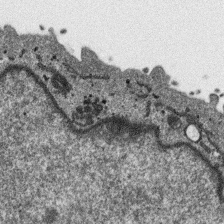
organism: Human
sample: Lung epithelial cells infected with SARS-CoV-2